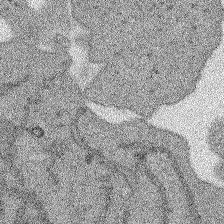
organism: Human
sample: HeLa cells